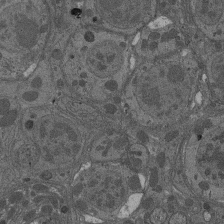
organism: Drosophila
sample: Antenna